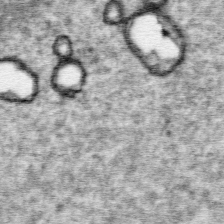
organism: Human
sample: HeLa cells